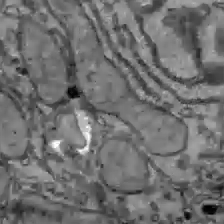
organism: C57BL Mouse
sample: Liver